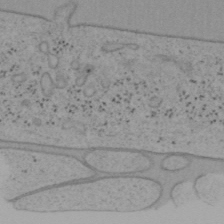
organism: Human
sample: HeLa cells